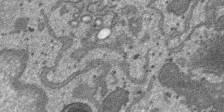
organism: Human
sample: Lung epithelial cells infected with SARS-CoV-2